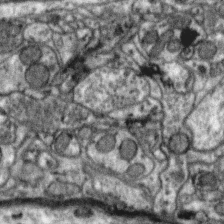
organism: Zebra finch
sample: Brain